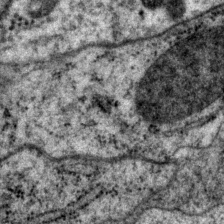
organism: P. pacificus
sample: Pharynx